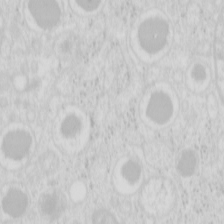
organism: Mouse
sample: Pancreas